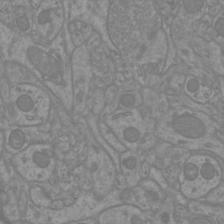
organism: Mouse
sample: Cortical neurons